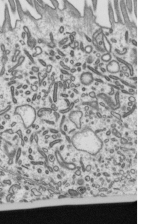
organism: Mouse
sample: Mouse epididymis efferent ductule cilia